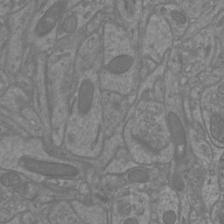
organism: Mouse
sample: Cortical neurons